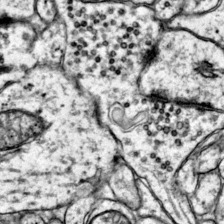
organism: Mouse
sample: Primary visual cortex